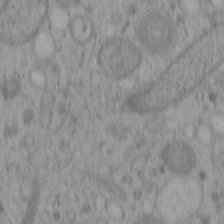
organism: Mouse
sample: OT-I killer T cells with ID8 ovarian cancer cells